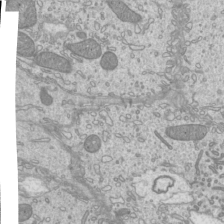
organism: Mouse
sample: Cilia; mouse epididymis